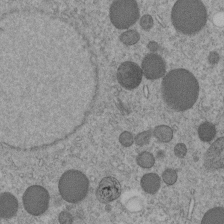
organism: C. elegans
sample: C. elegans embryo early stage